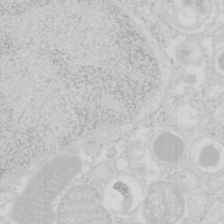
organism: Mouse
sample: Pancreas